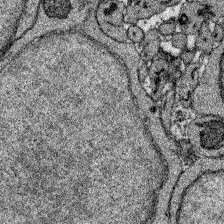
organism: Zebrafish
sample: Larval olfactory bulb